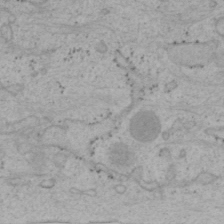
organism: Human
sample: HeLa cells